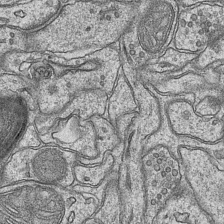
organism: Mouse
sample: CA1 Hippocampus